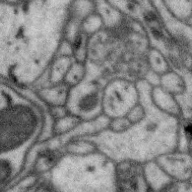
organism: Zebra finch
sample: Brain